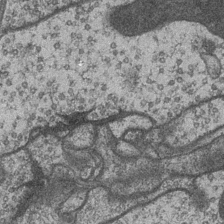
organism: Drosophila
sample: Optic medulla